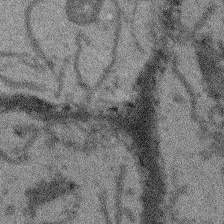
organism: Arabidopsis thaliana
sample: Root tip